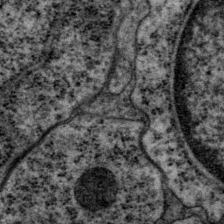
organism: P. pacificus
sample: Pharynx